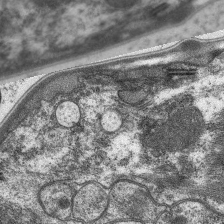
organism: C. elegans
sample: Pharynx